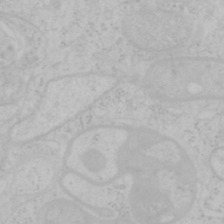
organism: Mouse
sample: OT-I killer T cells with ID8 ovarian cancer cells